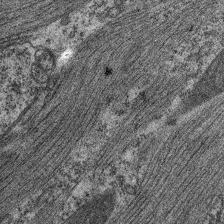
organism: C. elegans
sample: Pharynx